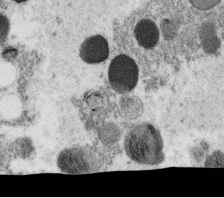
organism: C. elegans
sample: C. elegans oocyte; sperm cells